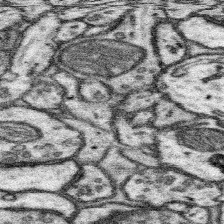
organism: Mouse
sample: Somatosensory cortex neuropil